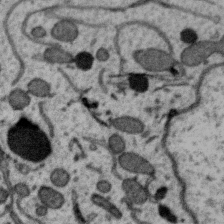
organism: Zebra finch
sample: Brain